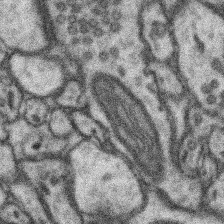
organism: Mouse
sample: Somatosensory cortex neuropil